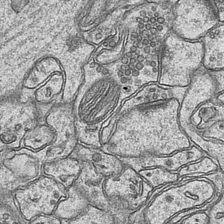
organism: Mouse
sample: CA1 Hippocampus